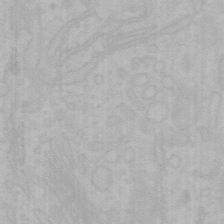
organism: Mouse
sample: Choroid plexus